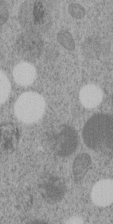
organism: C. elegans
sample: C. elegans embryo early stage